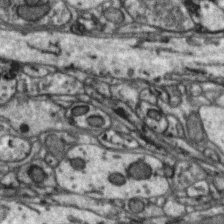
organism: Zebra finch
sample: Brain